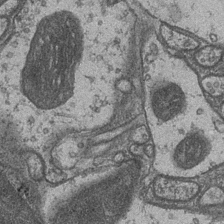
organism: Drosophila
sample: Optic medulla